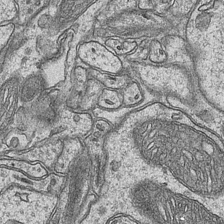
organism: Mouse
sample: CA1 Hippocampus